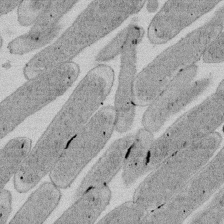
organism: E. coli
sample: Bacterial nucleoid